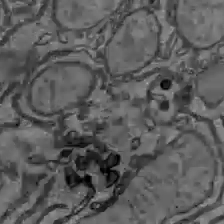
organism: C57BL Mouse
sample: Liver